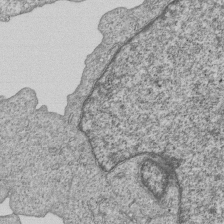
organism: Human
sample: MDA-MB-231 cells